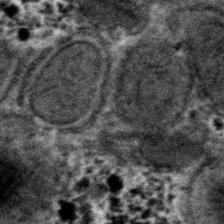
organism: Mouse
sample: Mouse hepatocytes